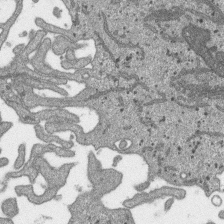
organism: Human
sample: Lung epithelial cells infected with SARS-CoV-2